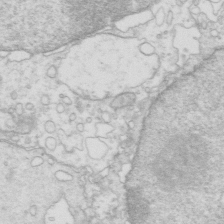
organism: Mouse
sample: Multiciliated cells